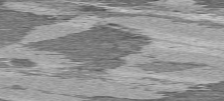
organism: C57BL Mouse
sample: Heart